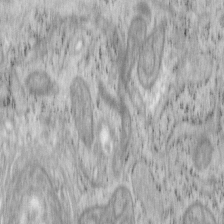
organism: Human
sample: HeLa cells